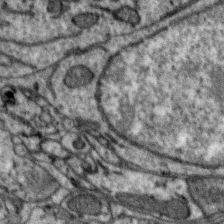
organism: Zebra finch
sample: Brain